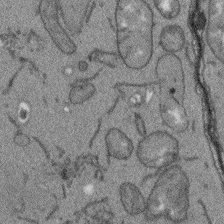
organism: Arabidopsis thaliana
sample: Root tip